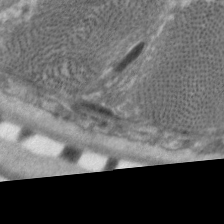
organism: C. elegans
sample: Pharynx